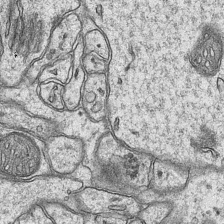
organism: Mouse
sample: CA1 Hippocampus